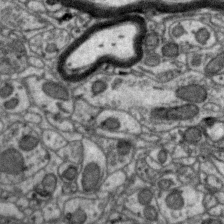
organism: Zebra finch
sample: Brain